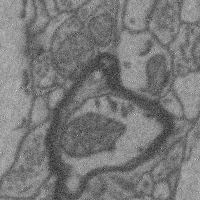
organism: Mouse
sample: Cerebral cortex